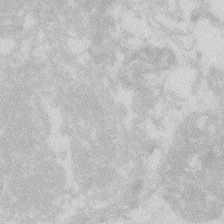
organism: Zebrafish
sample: Macrophage